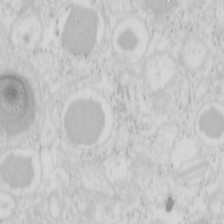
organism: Mouse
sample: Pancreas